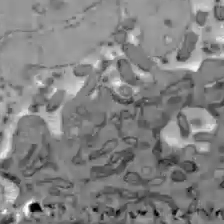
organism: C57BL Mouse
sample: Liver